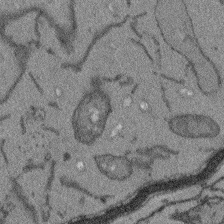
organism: Arabidopsis thaliana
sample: Root tip